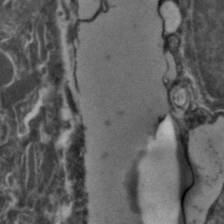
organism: Zebrafish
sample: Zebrafish embryo